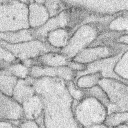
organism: Rabbit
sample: Retina